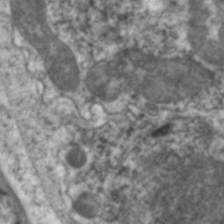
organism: C. elegans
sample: Pharynx